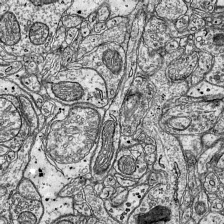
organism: Mouse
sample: Visual Cortex